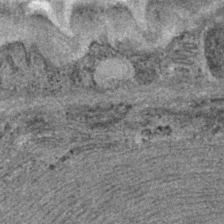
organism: C. elegans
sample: C. elegans embryo